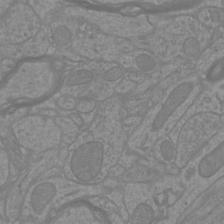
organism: Mouse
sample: Cortical neurons